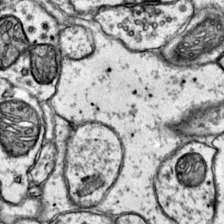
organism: Mouse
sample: Primary visual cortex